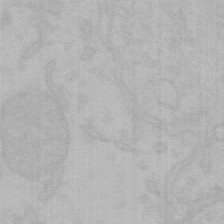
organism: Mouse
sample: Choroid plexus